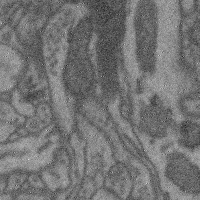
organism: Mouse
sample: Cerebral cortex